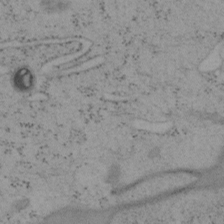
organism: Mouse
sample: OT-I killer T cells with ID8 ovarian cancer cells